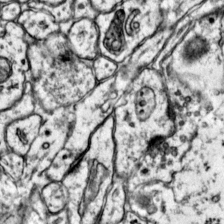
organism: Mouse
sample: Primary visual cortex